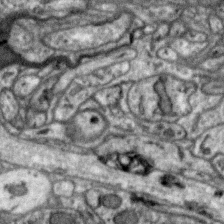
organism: Zebra finch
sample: Brain